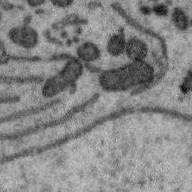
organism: Zebra finch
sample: Brain